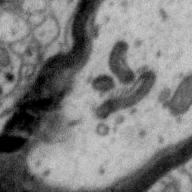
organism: Zebra finch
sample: Brain